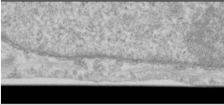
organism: Human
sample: Cilia; basal body in RPE cells